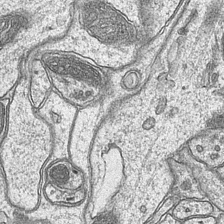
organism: Mouse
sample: CA1 Hippocampus